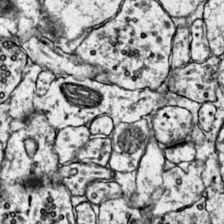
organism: Mouse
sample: Primary visual cortex